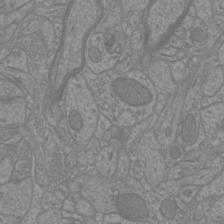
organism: Mouse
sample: Cortical neurons